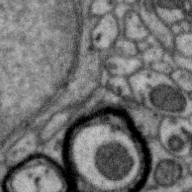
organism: Zebra finch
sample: Brain